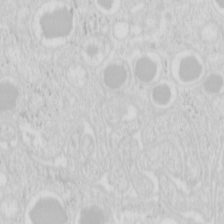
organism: Mouse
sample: Pancreas